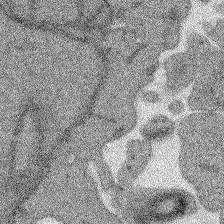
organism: Human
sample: HeLa cells